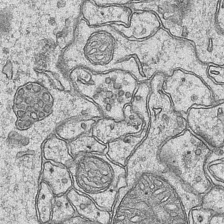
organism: Mouse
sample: CA1 Hippocampus